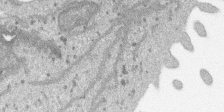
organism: Human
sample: Lung epithelial cells infected with SARS-CoV-2